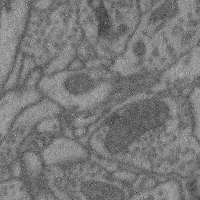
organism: Mouse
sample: Cerebral cortex